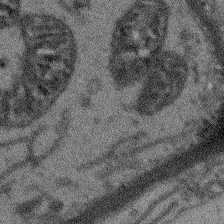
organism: Arabidopsis thaliana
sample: Root tip